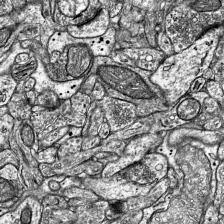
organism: Mouse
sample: Visual Cortex